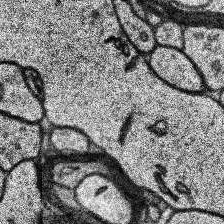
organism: Human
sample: Temporal Lobe